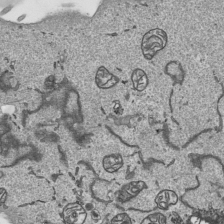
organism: Human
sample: Mitochondria in HCT116 cells